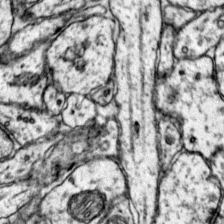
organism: Mouse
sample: Primary visual cortex